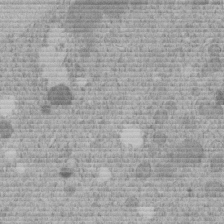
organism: C. elegans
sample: C. elegans embryo early stage